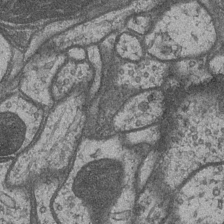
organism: Drosophila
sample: Optic medulla